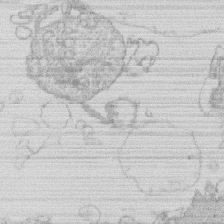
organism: Human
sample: Macrophage cells